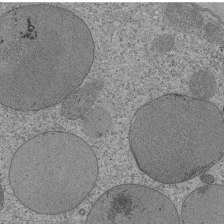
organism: Tetrahymena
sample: Cilia in tetrahymena